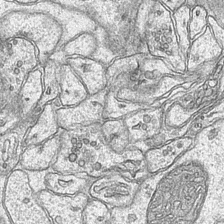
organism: Mouse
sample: CA1 Hippocampus